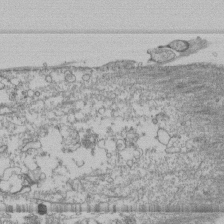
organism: Human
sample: Fibroblast cells